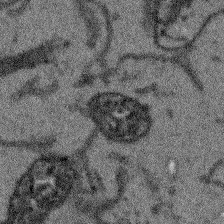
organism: Arabidopsis thaliana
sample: Root tip